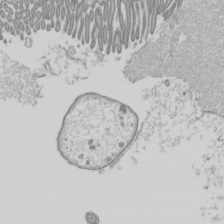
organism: Mouse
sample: Cilia; mouse epididymis